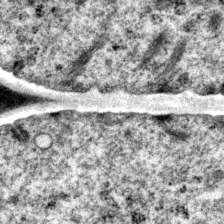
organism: P. pacificus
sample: Pharynx